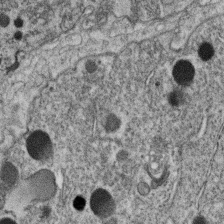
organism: C. elegans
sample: C. elegans oocyte; sperm cells